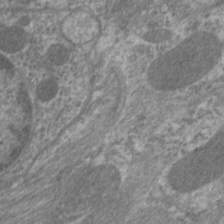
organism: C. elegans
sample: Pharynx